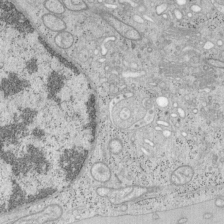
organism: Mouse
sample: OT-I killer T cells with ID8 ovarian cancer cells